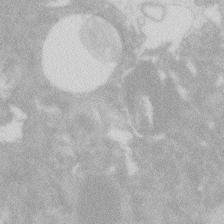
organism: Zebrafish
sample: Macrophage